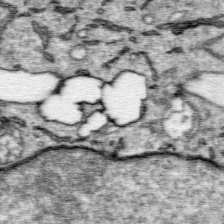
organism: Human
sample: HeLa cells